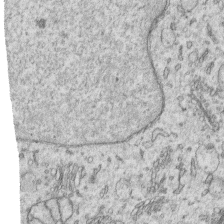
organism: Human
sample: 1205lu cells